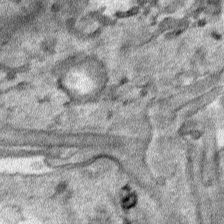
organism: Human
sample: Mitochondria in HCT116 cells